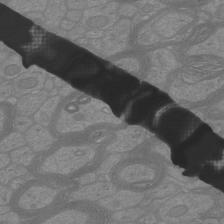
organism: Mouse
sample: Cortical neurons